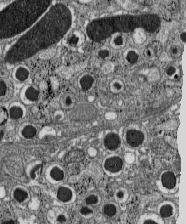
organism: C57BL Mouse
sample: Pancreatic islet